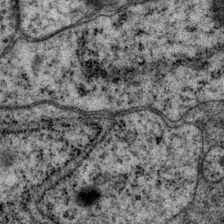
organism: P. pacificus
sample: Pharynx